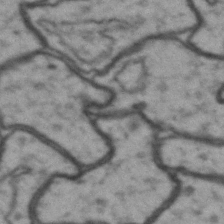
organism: Drosophila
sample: Brain